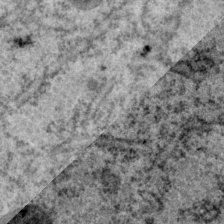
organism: P. pacificus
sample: Pharynx